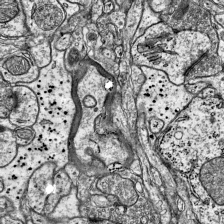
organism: Mouse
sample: Visual Cortex